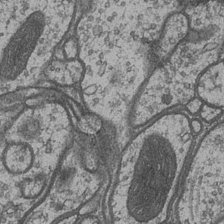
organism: Drosophila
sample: Optic medulla